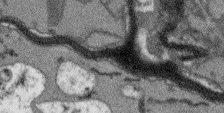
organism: Arabidopsis thaliana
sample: Root tip